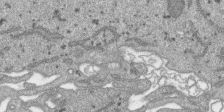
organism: Human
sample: Lung epithelial cells infected with SARS-CoV-2